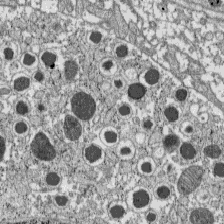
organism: C57BL Mouse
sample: Pancreatic islet